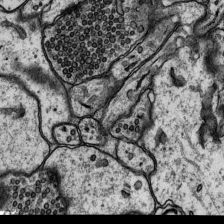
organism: Rat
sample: Hippocampus